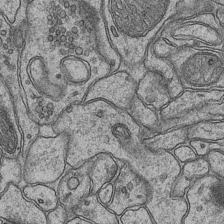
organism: Mouse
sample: CA1 Hippocampus